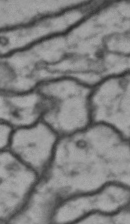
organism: Drosophila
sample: Brain